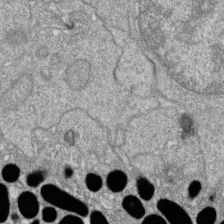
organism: Zebrafish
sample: Cilia; retinal pigment epithelium